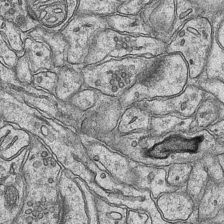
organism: Mouse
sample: CA1 Hippocampus